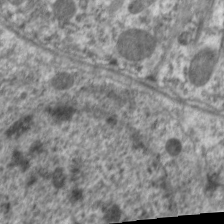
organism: C. elegans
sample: Pharynx